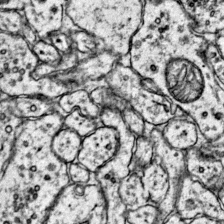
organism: Mouse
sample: Primary visual cortex